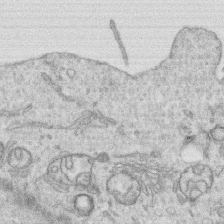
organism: Human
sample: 1205lu cells